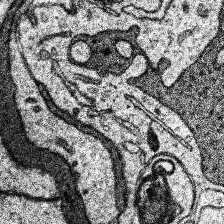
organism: Human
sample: Temporal Lobe